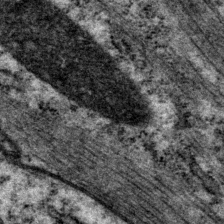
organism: P. pacificus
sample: Pharynx